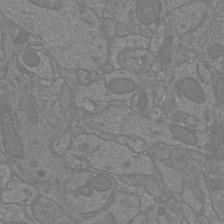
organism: Mouse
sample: Cortical neurons